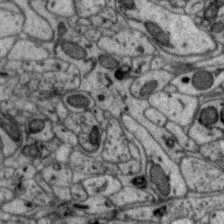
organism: Zebra finch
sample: Brain